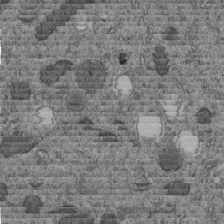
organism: C. elegans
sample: C. elegans embryo early stage